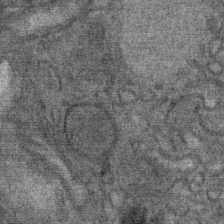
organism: Mouse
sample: Mouse Salivary gland